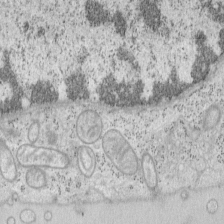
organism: Mouse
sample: OT-I killer T cells with ID8 ovarian cancer cells